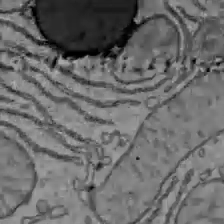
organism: C57BL Mouse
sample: Liver